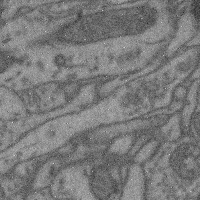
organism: Mouse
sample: Cerebral cortex